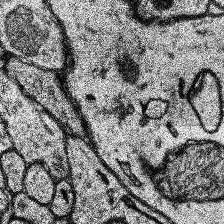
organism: Human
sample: Temporal Lobe